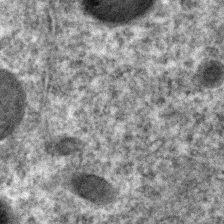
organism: C. elegans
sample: C. elegans embryo